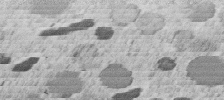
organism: C. elegans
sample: C. elegans embryo early stage